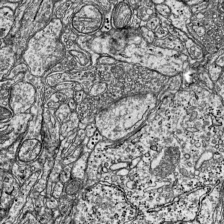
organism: Mouse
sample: Visual Cortex